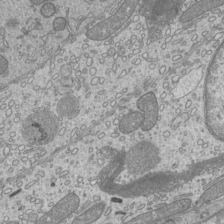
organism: Mouse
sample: Cilia; mouse epididymis